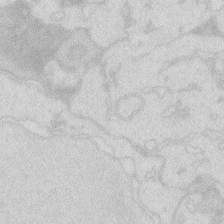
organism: Zebrafish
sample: Macrophage